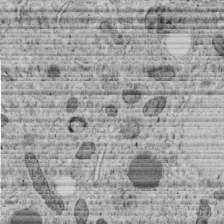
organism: C. elegans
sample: C. elegans embryo early stage